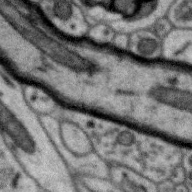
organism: Zebra finch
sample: Brain